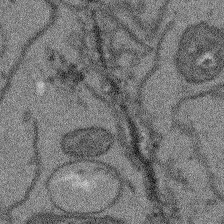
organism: Arabidopsis thaliana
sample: Root tip